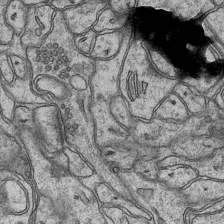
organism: Mouse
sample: CA1 Hippocampus